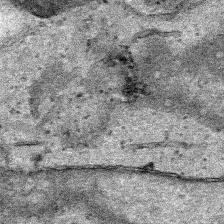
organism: Human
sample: Mitochondria in HCT116 cells